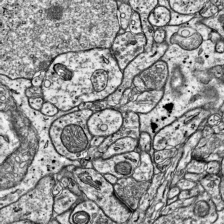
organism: Mouse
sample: Visual Cortex